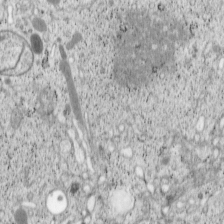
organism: African green monkey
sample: COS-7 cells